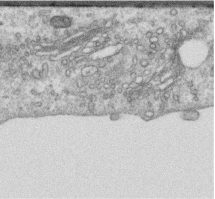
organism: Human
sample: Centriole in RPE cells